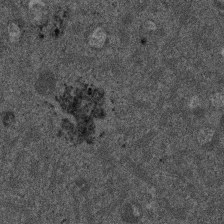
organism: Mouse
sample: Dividing mouse embryo 1 cell stage